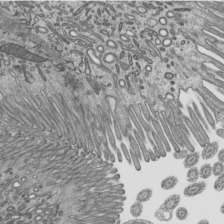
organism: Mouse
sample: Mouse epididymis efferent ductule cilia